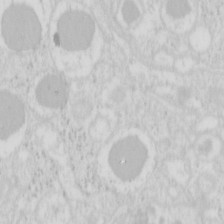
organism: Mouse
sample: Pancreas